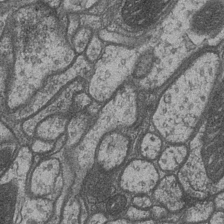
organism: Drosophila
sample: Optic medulla